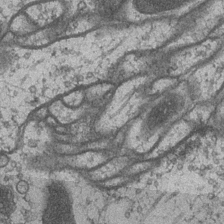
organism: Drosophila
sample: Optic medulla